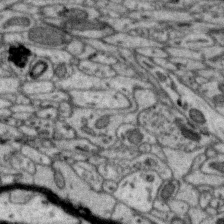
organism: Zebra finch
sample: Brain